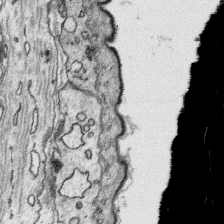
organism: Platynereis dumerilii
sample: Parapodia